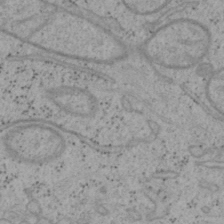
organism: Human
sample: HeLa cells